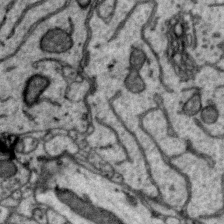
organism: Zebra finch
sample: Brain